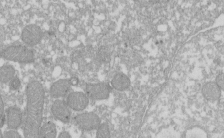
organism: Xenopus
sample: Cilia; centrioles in frog embryo cells